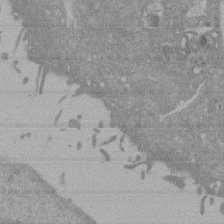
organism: Mouse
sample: ED-1 cell nuclei; centrioles